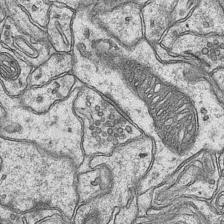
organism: Mouse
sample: CA1 Hippocampus